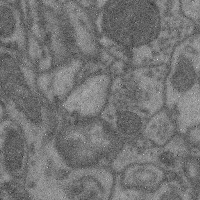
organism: Mouse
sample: Cerebral cortex